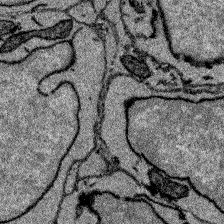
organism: Zebrafish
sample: Larval olfactory bulb